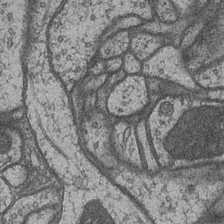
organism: Drosophila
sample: Optic medulla